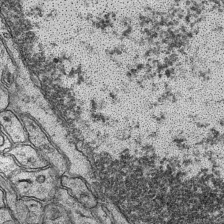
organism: Mouse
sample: CA1 Hippocampus